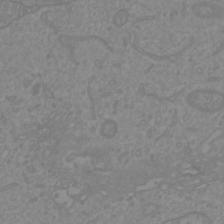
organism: Mouse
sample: Cortical neurons